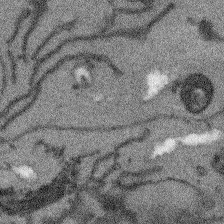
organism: Arabidopsis thaliana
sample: Root tip